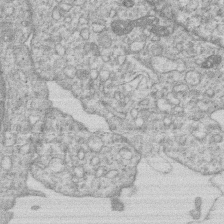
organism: Human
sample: Macrophage cells